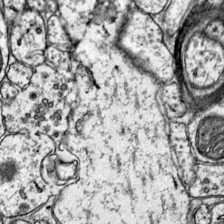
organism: Mouse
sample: Primary visual cortex